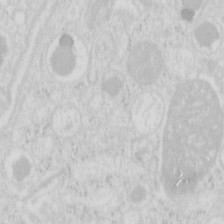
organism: Mouse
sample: Pancreas